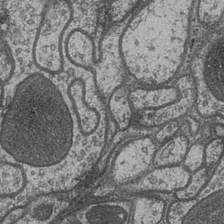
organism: Drosophila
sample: Optic medulla